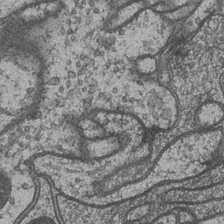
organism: Drosophila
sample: Optic medulla